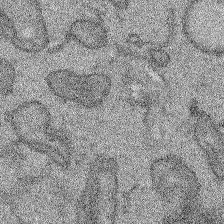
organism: Human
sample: HeLa cells